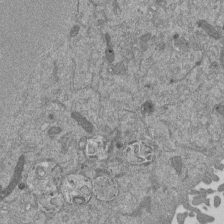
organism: Mouse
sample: ED-1 cell nuclei; centrioles